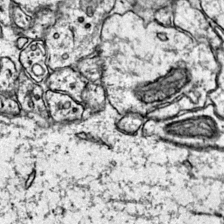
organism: Mouse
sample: Primary visual cortex